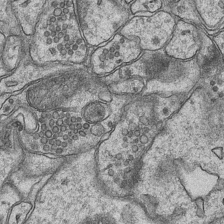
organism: Mouse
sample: CA1 Hippocampus